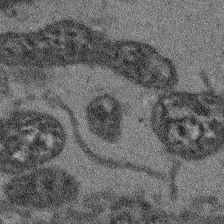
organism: Arabidopsis thaliana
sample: Root tip